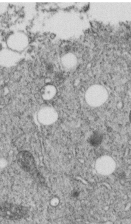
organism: C. elegans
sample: C. elegans embryo early stage